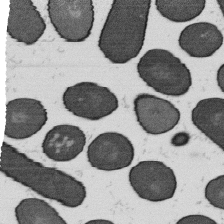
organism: B. subtilis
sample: Bacterial spore